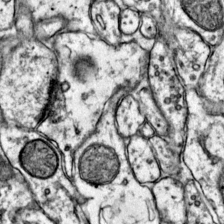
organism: Mouse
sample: Primary visual cortex